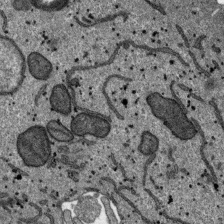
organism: Human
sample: Lung epithelial cells, uninfected (mock) control